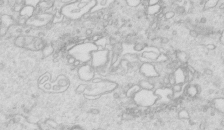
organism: Mouse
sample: Multiciliated cells